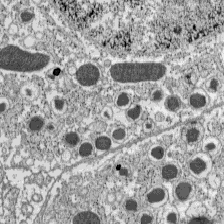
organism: C57BL Mouse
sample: Pancreatic islet